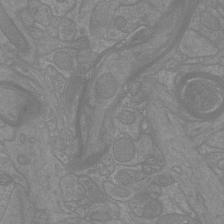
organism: Mouse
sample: Cortical neurons